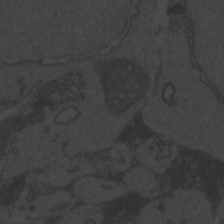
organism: Zebrafish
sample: Macrophage infected with Toxoplasma gondii